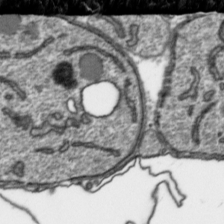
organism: Toxoplasma gondii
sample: Parasites in a vacuole inside a host cell